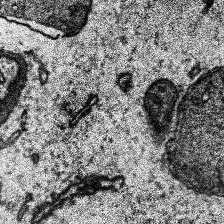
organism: Human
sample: Temporal Lobe